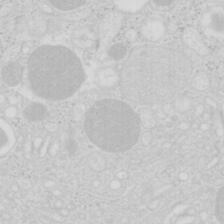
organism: Mouse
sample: Pancreas